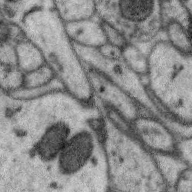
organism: Zebra finch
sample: Brain